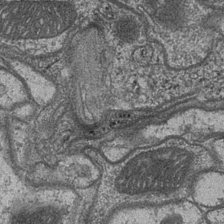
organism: Drosophila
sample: Optic medulla